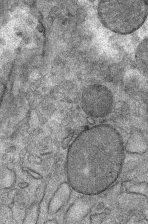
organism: Mouse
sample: Mouse Salivary gland